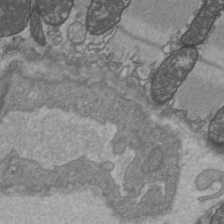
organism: C57BL Mouse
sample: Heart